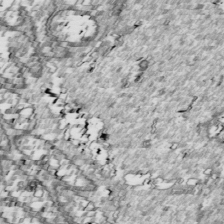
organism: Drosophila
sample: Cell division; meiosis; drosophila spermatocytes